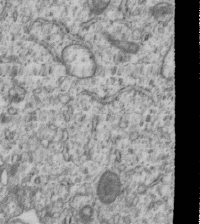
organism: Human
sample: MDA-MB-231 cells